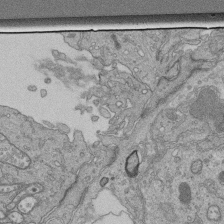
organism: Human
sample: Retinal organoid Rod and Cone cells